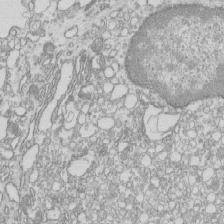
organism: Mouse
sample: Macrophages